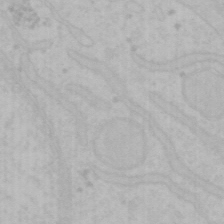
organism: Mouse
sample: Choroid plexus